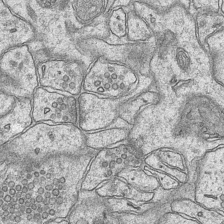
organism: Mouse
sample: CA1 Hippocampus